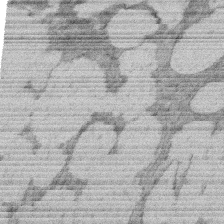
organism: Rat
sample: Salivary granule